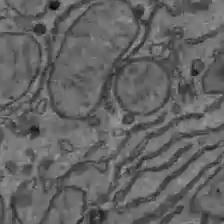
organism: C57BL Mouse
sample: Liver